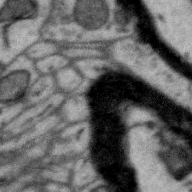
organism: Zebra finch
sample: Brain